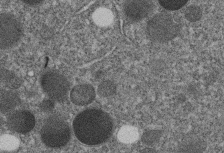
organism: C. elegans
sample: C. elegans embryo early stage